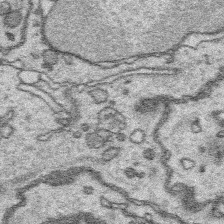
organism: Platynereis dumerilii